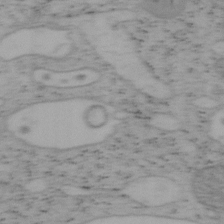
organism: Mouse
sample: OT-I killer T cells with ID8 ovarian cancer cells